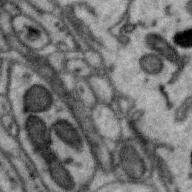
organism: Zebra finch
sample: Brain